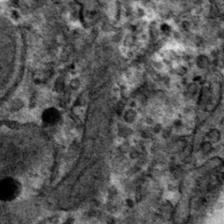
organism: Mouse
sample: Mouse hepatocytes